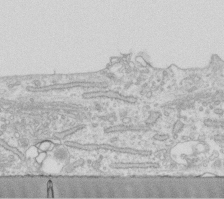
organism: Human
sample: Fibroblast cells